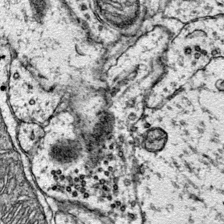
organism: Mouse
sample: Primary visual cortex